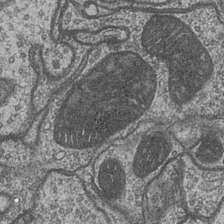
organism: Drosophila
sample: Optic medulla